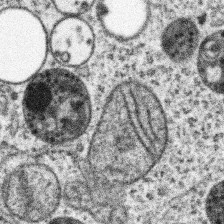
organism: Human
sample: HeLa cells